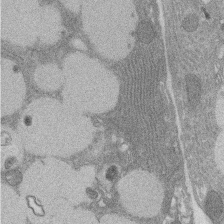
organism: Rat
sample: Salivary granule